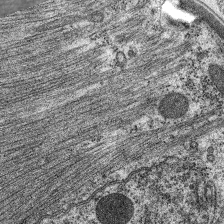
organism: C. elegans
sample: Pharynx